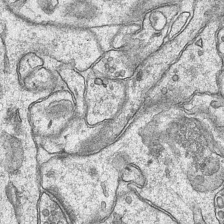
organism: Mouse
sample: CA1 Hippocampus